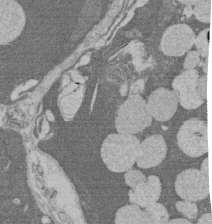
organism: Rat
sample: Salivary granule